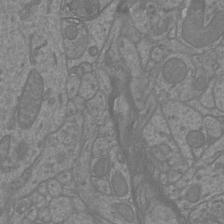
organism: Mouse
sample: Cortical neurons